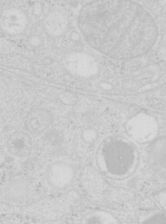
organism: Mouse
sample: Pancreas